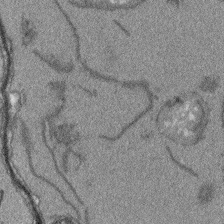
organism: Arabidopsis thaliana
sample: Root tip